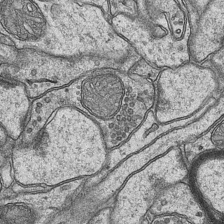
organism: Mouse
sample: CA1 Hippocampus